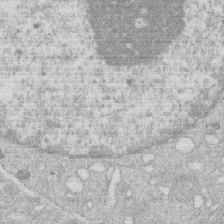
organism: Human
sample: Macrophage cells